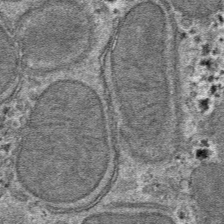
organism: Mouse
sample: Mouse hepatocytes